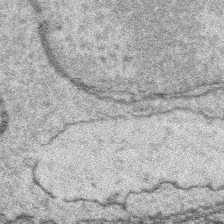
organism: Platynereis dumerilii